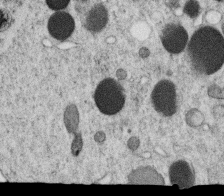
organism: C. elegans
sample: C. elegans oocyte; sperm cells